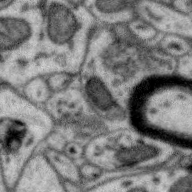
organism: Zebra finch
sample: Brain